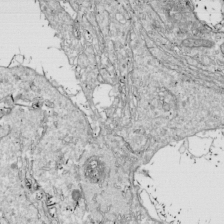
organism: Drosophila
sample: Cell division; meiosis; drosophila spermatocytes